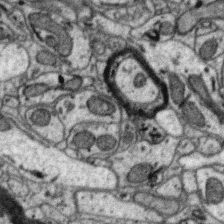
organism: Zebra finch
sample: Brain